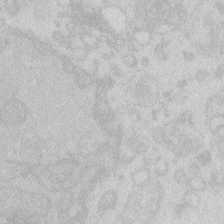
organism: Zebrafish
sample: Macrophage